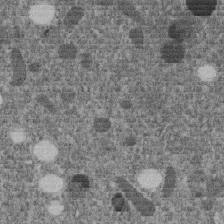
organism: C. elegans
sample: C. elegans embryo early stage